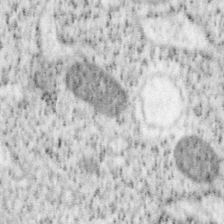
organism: Mouse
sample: OT-I killer T cells with ID8 ovarian cancer cells